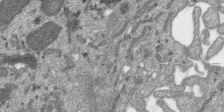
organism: Human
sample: Lung epithelial cells infected with SARS-CoV-2